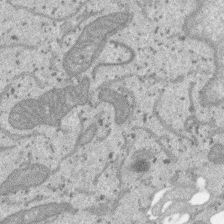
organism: Human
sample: Lung epithelial cells infected with SARS-CoV-2